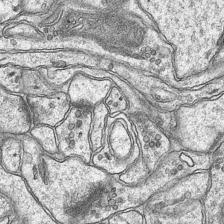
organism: Mouse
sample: CA1 Hippocampus